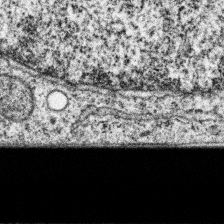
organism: Human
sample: HeLa cells